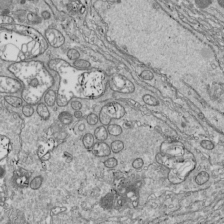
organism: Drosophila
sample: Cell division; meiosis; drosophila spermatocytes